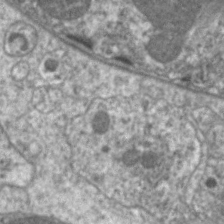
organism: C. elegans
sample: Pharynx